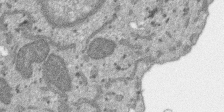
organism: Human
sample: Lung epithelial cells infected with SARS-CoV-2